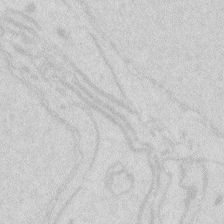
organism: Zebrafish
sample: Macrophage